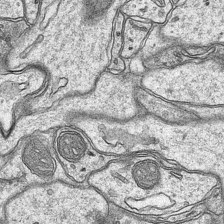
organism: Mouse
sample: CA1 Hippocampus